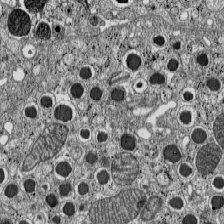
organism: C57BL Mouse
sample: Pancreatic islet